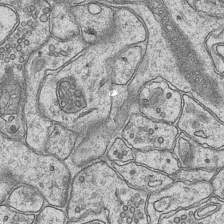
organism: Mouse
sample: CA1 Hippocampus